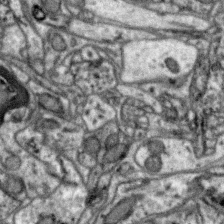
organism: Zebra finch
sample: Brain